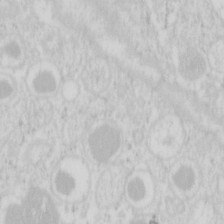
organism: Mouse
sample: Pancreas